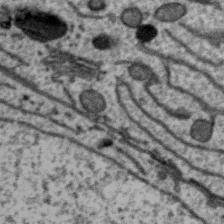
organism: Zebra finch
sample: Brain